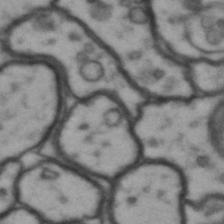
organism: Drosophila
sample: Brain